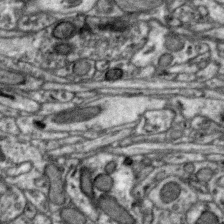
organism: Zebra finch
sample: Brain